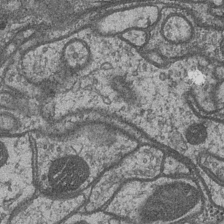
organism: Drosophila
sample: Optic medulla